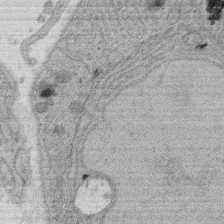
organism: Rat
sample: Salivary granule